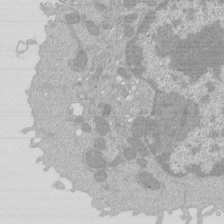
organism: Mouse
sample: Activated Pmel transgenic CD8+ T Cells